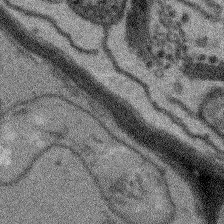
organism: Arabidopsis thaliana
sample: Root tip